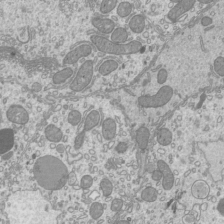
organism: Mouse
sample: Cilia; mouse epididymis